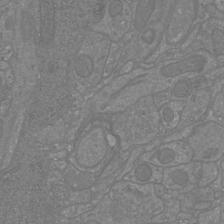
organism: Mouse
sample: Cortical neurons